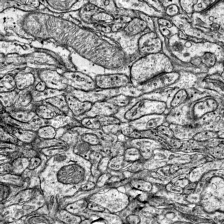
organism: Mouse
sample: Visual Cortex